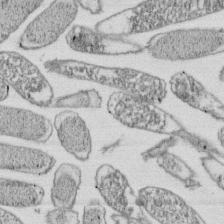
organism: E. coli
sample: Bacterial nucleoid